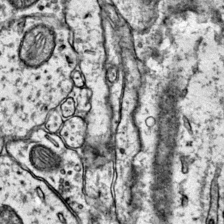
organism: Mouse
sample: Primary visual cortex